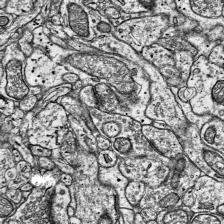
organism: Mouse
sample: Visual Cortex